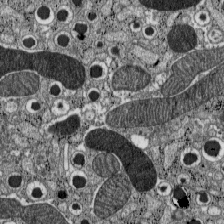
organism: C57BL Mouse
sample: Pancreatic islet